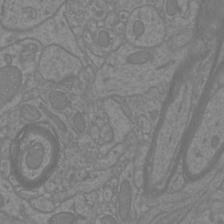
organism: Mouse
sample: Cortical neurons